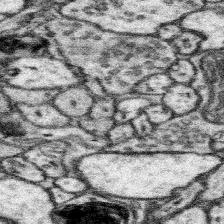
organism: Mouse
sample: Somatosensory cortex neuropil